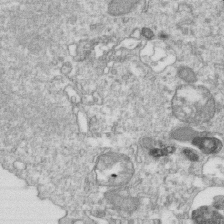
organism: Mouse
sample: Activated OT-1 CD8+ T cells